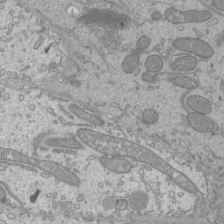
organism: Mouse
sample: Cilia; mouse epididymis